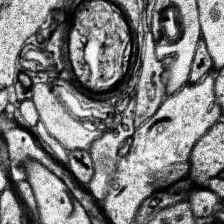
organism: Human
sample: Temporal Lobe